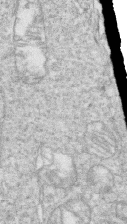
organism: Human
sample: HeLa cell HIV synapse